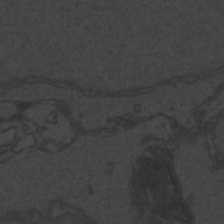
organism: Zebrafish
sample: Macrophage infected with Toxoplasma gondii